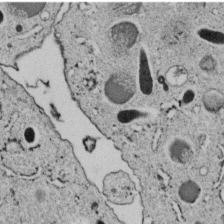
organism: C. elegans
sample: C. elegans embryo early stage